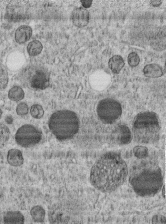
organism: C. elegans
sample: C. elegans embryo early stage